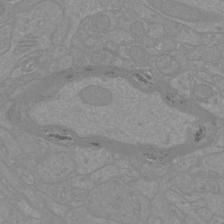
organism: Mouse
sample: Cortical neurons